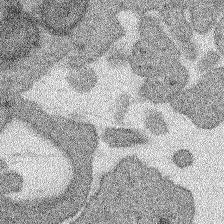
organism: Human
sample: HeLa cells